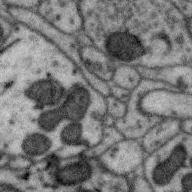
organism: Zebra finch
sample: Brain